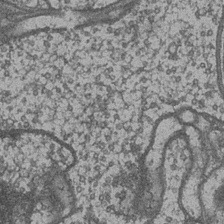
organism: Drosophila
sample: Optic medulla